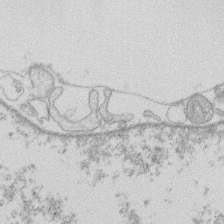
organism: Human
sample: Macrophage cells